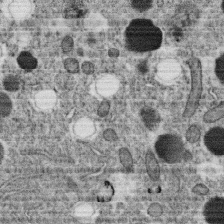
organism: C. elegans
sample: C. elegans oocyte; sperm cells